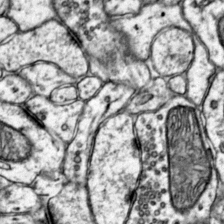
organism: Mouse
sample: Primary visual cortex